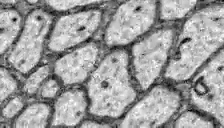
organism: Zebrafish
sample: Brain